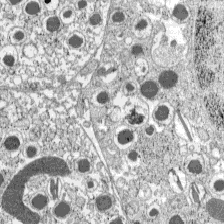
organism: C57BL Mouse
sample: Pancreatic islet